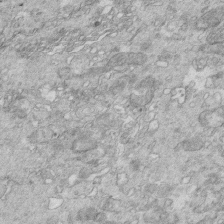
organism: Mouse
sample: Multiciliated cells